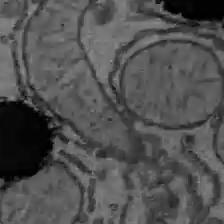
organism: C57BL Mouse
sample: Liver